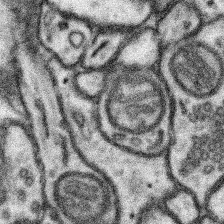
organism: Mouse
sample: Somatosensory cortex neuropil